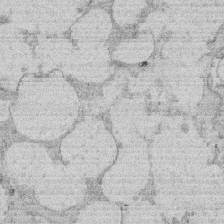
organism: Rat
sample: Salivary granule